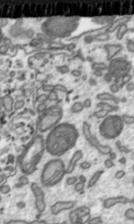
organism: Toxoplasma gondii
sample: Parasites in a vacuole inside a host cell